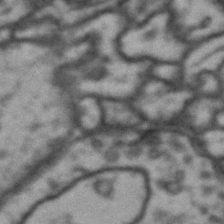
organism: Drosophila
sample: Brain